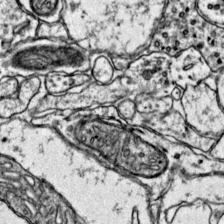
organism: Mouse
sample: Primary visual cortex